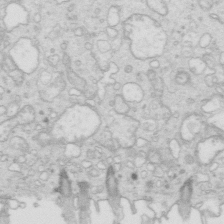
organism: Mouse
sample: Multiciliated cells